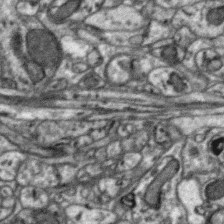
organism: Zebra finch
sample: Brain